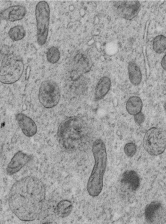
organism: C. elegans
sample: C. elegans embryo early stage